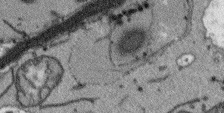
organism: Arabidopsis thaliana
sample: Root tip